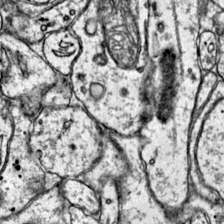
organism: Mouse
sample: Primary visual cortex